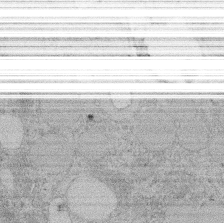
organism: Rat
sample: Salivary granule